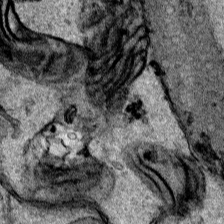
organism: Human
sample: Mitochondria in HCT116 cells